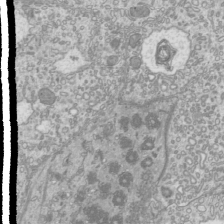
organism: Mouse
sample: Cilia; mouse epididymis